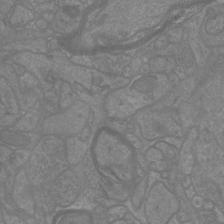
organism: Mouse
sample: Cortical neurons